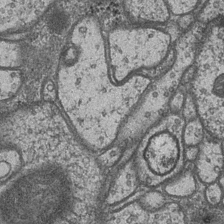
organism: Drosophila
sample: Optic medulla